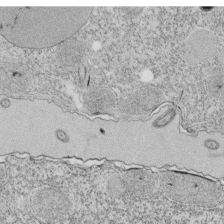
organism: Tetrahymena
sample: Cilia in tetrahymena